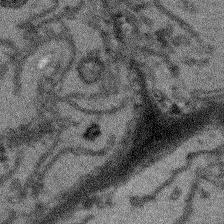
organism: Arabidopsis thaliana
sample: Root tip